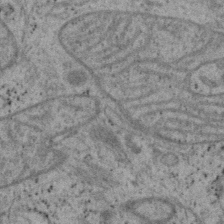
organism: Human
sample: HeLa cells